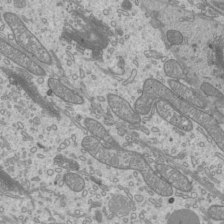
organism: Mouse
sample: Cilia; mouse epididymis